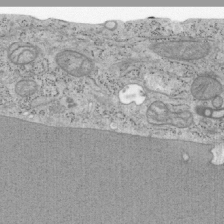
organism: Human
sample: HeLa cells